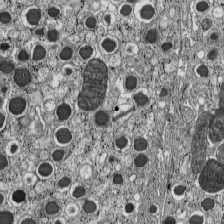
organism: C57BL Mouse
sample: Pancreatic islet